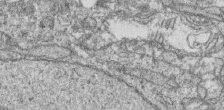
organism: Human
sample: HeLa cell HIV synapse